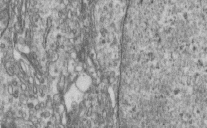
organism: Human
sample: Centriole in RPE cells